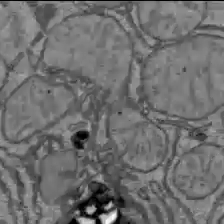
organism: C57BL Mouse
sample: Liver